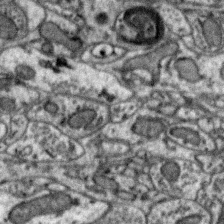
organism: Zebra finch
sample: Brain